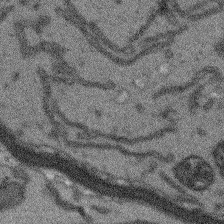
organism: Arabidopsis thaliana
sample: Root tip